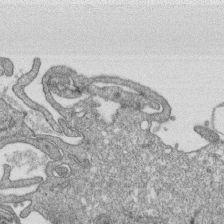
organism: African green monkey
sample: Vero E6 cells infected with SARS-CoV-2